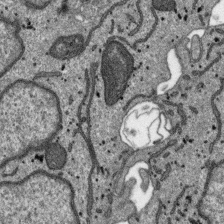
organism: Human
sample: Lung epithelial cells, uninfected (mock) control